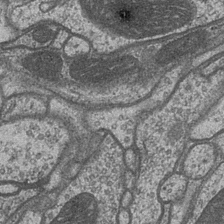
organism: Drosophila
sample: Optic medulla